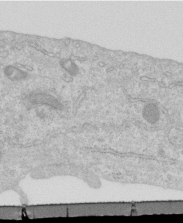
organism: Human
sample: Centriole in RPE cells